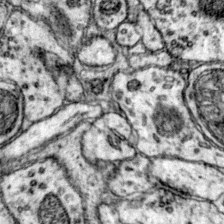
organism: Mouse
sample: Primary visual cortex